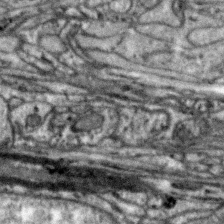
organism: Zebra finch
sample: Brain